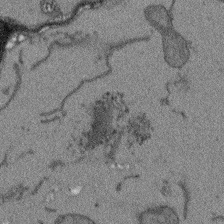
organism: Arabidopsis thaliana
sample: Root tip